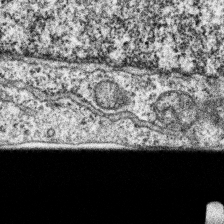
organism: Human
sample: HeLa cells